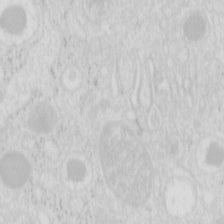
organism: Mouse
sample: Pancreas